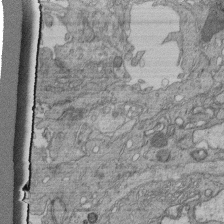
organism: Human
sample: Retinal organoid Rod and Cone cells